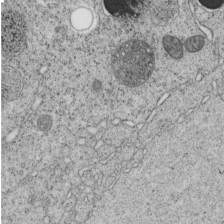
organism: C. elegans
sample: C. elegans embryo early stage